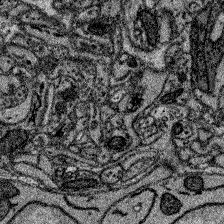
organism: Zebrafish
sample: Larval olfactory bulb